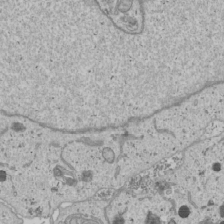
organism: Human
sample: Mitochondria in U2OS cells